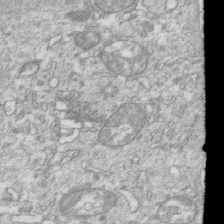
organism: Mouse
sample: Activated OT-1 CD8+ T cells